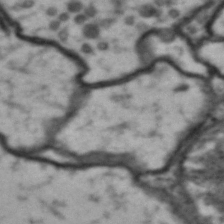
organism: Drosophila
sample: Brain